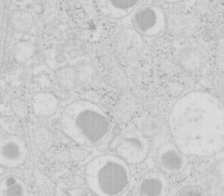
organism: Mouse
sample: Pancreas